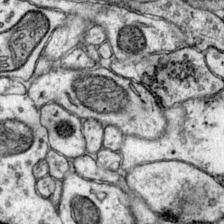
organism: Mouse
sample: Primary visual cortex